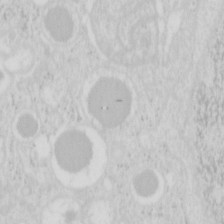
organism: Mouse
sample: Pancreas